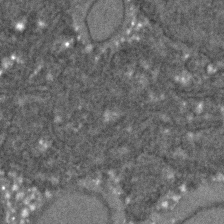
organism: C. elegans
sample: C. elegans embryo